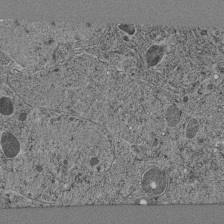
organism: C. elegans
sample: C. elegans pharynx